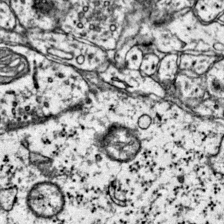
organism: Mouse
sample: Primary visual cortex